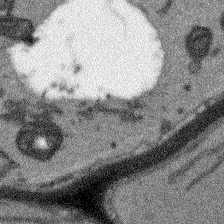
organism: Arabidopsis thaliana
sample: Root tip